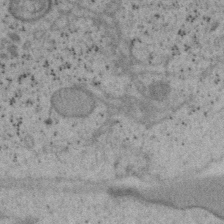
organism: Human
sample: HeLa cells